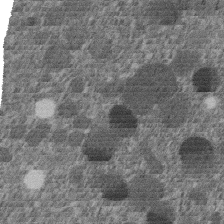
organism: C. elegans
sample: C. elegans embryo early stage